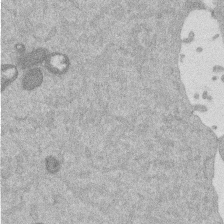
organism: Mouse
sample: Dividing mouse embryo 1 cell stage